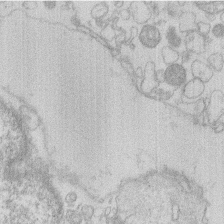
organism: Human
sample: Macrophage cells